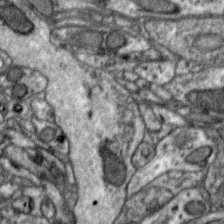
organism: Zebra finch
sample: Brain